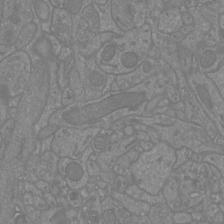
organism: Mouse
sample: Cortical neurons